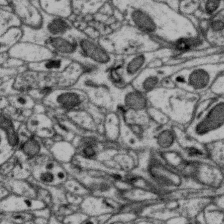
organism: Zebra finch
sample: Brain